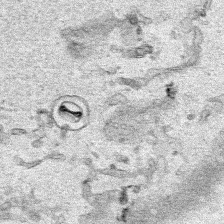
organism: Human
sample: Mitochondria in HCT116 cells